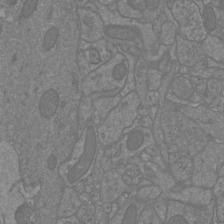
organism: Mouse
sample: Cortical neurons